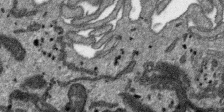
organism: Human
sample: Lung epithelial cells, uninfected (mock) control